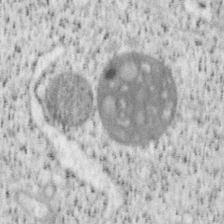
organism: Mouse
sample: OT-I killer T cells with ID8 ovarian cancer cells